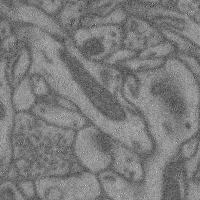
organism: Mouse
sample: Cerebral cortex